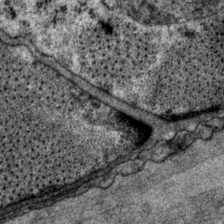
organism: P. pacificus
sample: Pharynx